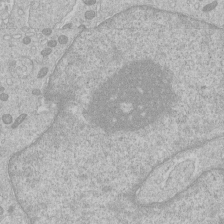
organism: Human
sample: Macrophage cells